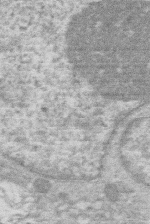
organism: Human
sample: Macrophage cells